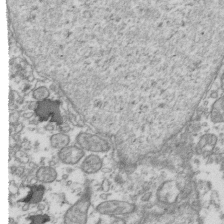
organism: Human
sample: Activated Jurkat CD4+ T cells